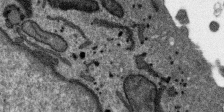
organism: Human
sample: Lung epithelial cells, uninfected (mock) control